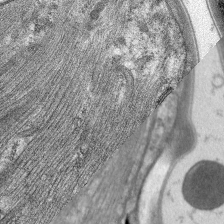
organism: C. elegans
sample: Pharynx